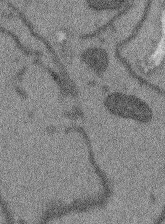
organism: Arabidopsis thaliana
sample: Root tip